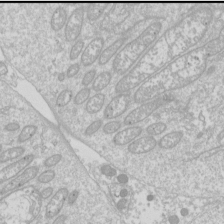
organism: Drosophila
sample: Cell division; meiosis; drosophila spermatocytes